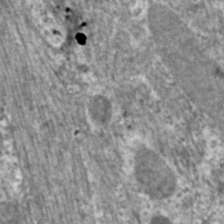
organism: C. elegans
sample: Pharynx